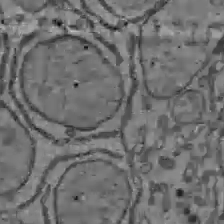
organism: C57BL Mouse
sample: Liver